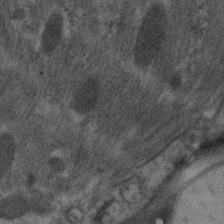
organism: C. elegans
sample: Pharynx